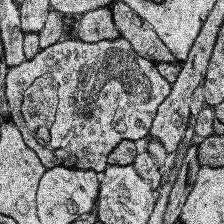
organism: Human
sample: Temporal Lobe